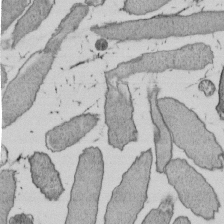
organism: E. coli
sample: Bacterial nucleoid